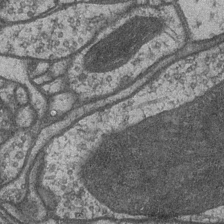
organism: Drosophila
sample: Optic medulla